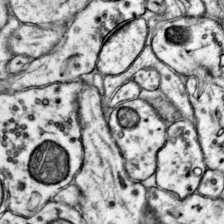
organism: Mouse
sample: Primary visual cortex